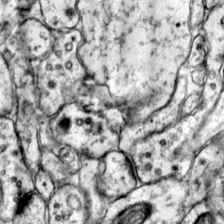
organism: Mouse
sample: Primary visual cortex